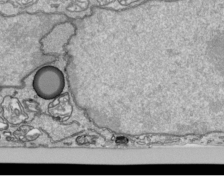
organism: Human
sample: Mitochondria in HCT116 cells